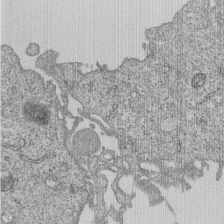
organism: Human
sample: MDA-MB-231 cells